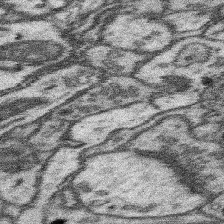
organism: Mouse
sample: Somatosensory cortex neuropil